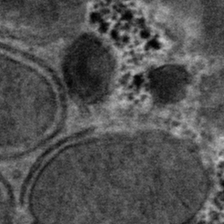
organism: Mouse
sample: Mouse hepatocytes